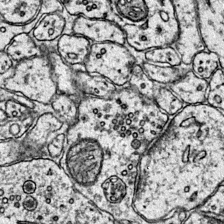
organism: Mouse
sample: Primary visual cortex